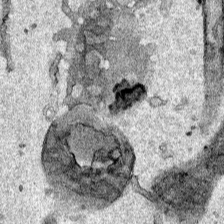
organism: Human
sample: Mitochondria in HCT116 cells